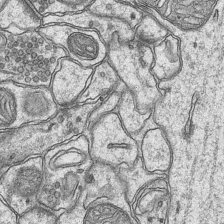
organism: Mouse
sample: CA1 Hippocampus